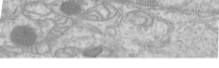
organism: Human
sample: Centriole in RPE cells